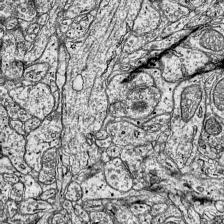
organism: Mouse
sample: Visual Cortex